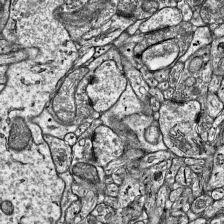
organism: Mouse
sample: Visual Cortex